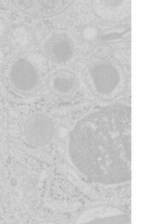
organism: Mouse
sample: Pancreas